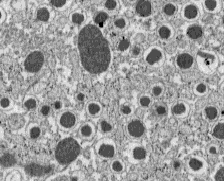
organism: C57BL Mouse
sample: Pancreatic islet